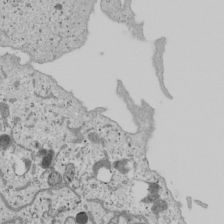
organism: Human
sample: Mitochondria in U2OS cells